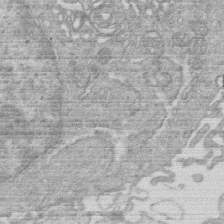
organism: Human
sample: Macrophage cells